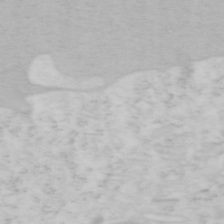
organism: Mouse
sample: OT-I killer T cells with ID8 ovarian cancer cells